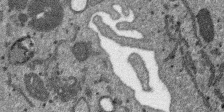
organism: Human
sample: Lung epithelial cells infected with SARS-CoV-2